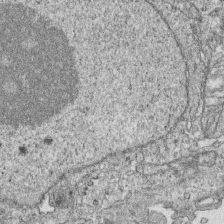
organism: Human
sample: HeLa cell HIV synapse